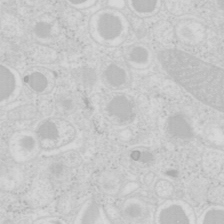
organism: Mouse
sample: Pancreas